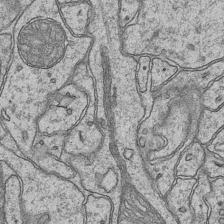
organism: Mouse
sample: CA1 Hippocampus